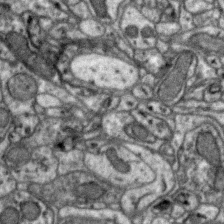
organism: Zebra finch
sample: Brain